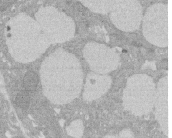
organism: Rat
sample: Salivary granule